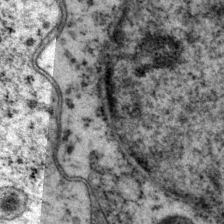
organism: P. pacificus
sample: Pharynx